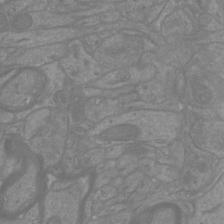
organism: Mouse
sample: Cortical neurons